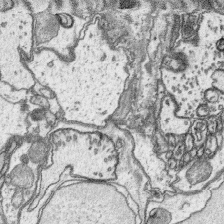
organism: Platynereis dumerilii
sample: Parapodia